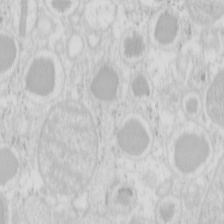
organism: Mouse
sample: Pancreas